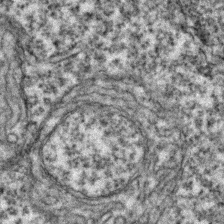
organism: Zebrafish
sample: Zebrafish embryo